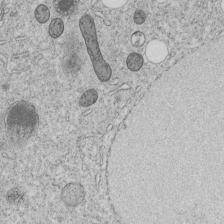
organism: C. elegans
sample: C. elegans embryo early stage